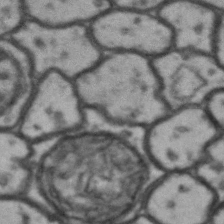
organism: Drosophila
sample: Brain